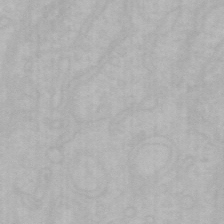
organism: Mouse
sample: Choroid plexus